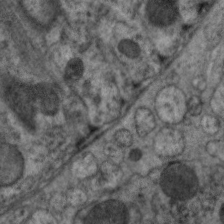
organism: C. elegans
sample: Pharynx